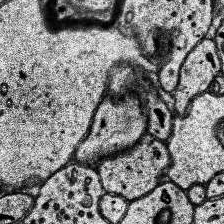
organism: Human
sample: Temporal Lobe